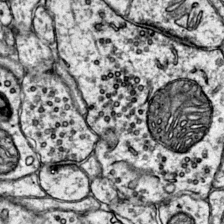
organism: Mouse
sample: Primary visual cortex